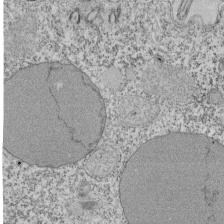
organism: Tetrahymena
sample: Cilia in tetrahymena